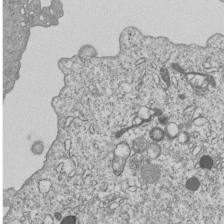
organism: Human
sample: MDA-MB-231 cells